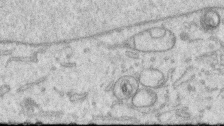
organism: Human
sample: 1205lu cells